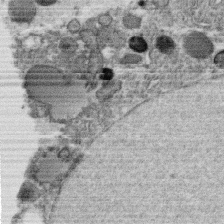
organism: C. elegans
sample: C. elegans oocyte; sperm cells